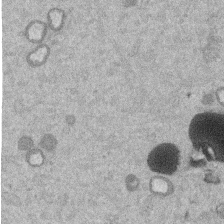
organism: Mouse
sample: Dividing mouse embryo 1 cell stage